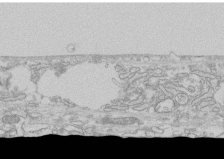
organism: Human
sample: CRL-1474